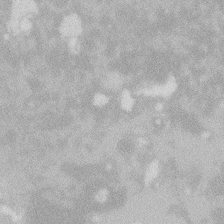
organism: Zebrafish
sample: Macrophage